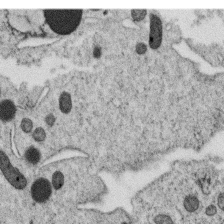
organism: C. elegans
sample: C. elegans oocyte; sperm cells